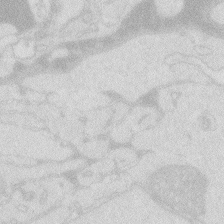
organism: Zebrafish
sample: Macrophage